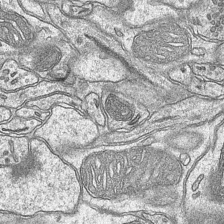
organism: Mouse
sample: CA1 Hippocampus